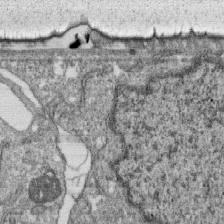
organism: African green monkey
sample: Vero E6 cells infected with SARS-CoV-2